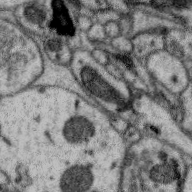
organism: Zebra finch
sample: Brain